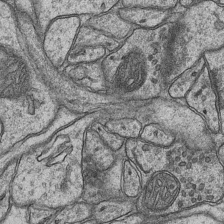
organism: Mouse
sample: CA1 Hippocampus